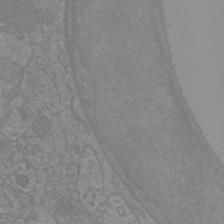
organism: Mouse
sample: Cortical neurons